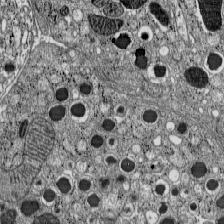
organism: C57BL Mouse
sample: Pancreatic islet